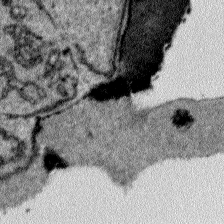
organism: Plasmodium falciparum